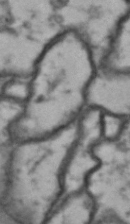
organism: Drosophila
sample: Brain